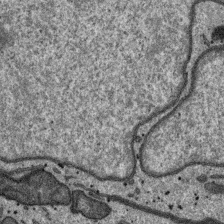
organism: Human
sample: Lung epithelial cells, uninfected (mock) control